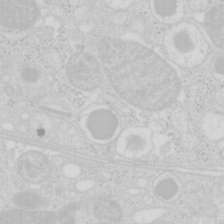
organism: Mouse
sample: Pancreas